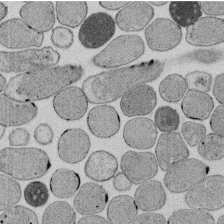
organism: E. coli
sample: Bacterial nucleoid